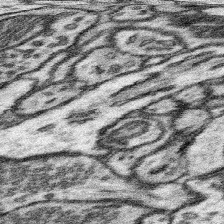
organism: Mouse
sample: Somatosensory cortex neuropil